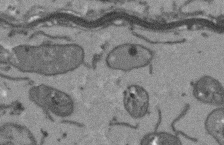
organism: Arabidopsis thaliana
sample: Root tip